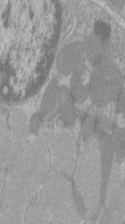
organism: C57BL Mouse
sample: Tibialis anterior muscle cell